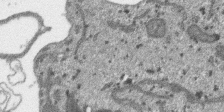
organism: Human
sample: Lung epithelial cells infected with SARS-CoV-2